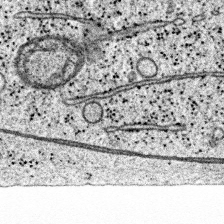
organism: Human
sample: HeLa cells